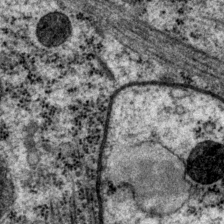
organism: P. pacificus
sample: Pharynx